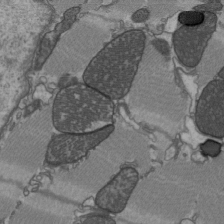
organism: C57BL Mouse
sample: Heart